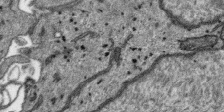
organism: Human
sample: Lung epithelial cells, uninfected (mock) control